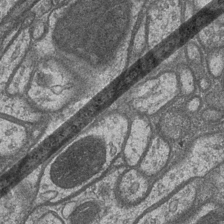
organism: Drosophila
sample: Optic medulla